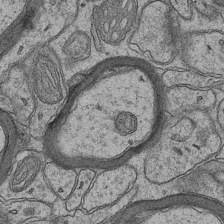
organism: Mouse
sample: CA1 Hippocampus